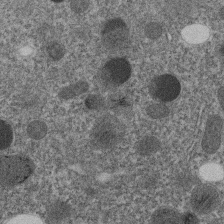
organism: C. elegans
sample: C. elegans embryo early stage